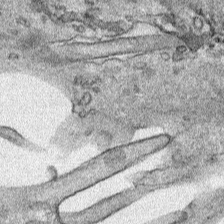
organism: Human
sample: Mitochondria in HCT116 cells